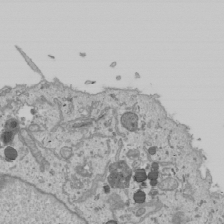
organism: Human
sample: Mitochondria in U2OS cells